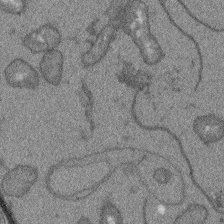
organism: Arabidopsis thaliana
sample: Root tip